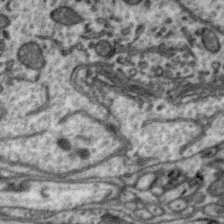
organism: Zebra finch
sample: Brain